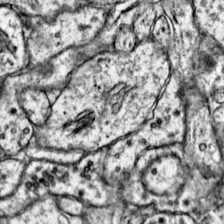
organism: Mouse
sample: Primary visual cortex